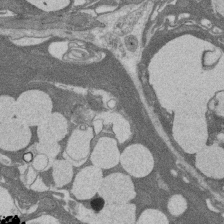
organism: Rat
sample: Salivary granule